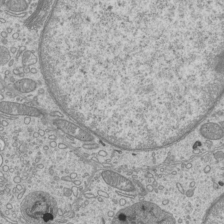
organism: Mouse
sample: Cilia; mouse epididymis